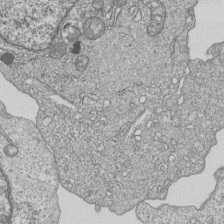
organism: Human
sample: MDA-MB-231 cells